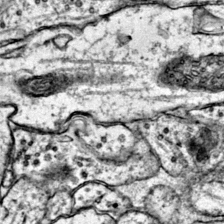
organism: Mouse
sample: Primary visual cortex